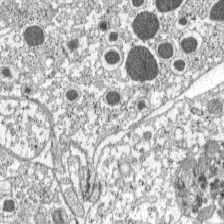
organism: C57BL Mouse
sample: Pancreatic islet